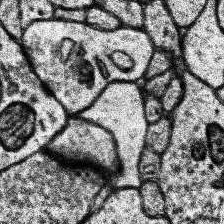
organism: Human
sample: Temporal Lobe